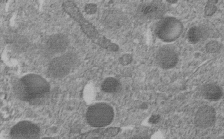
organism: C. elegans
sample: C. elegans embryo early stage